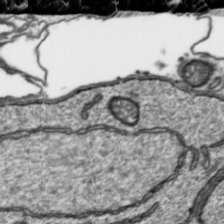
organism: Toxoplasma gondii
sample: Parasites in a vacuole inside a host cell